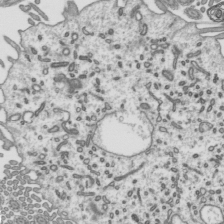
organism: Mouse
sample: Mouse epididymis efferent ductule cilia